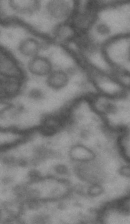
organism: Drosophila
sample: Brain